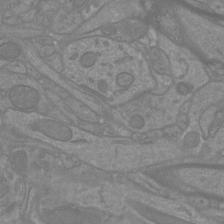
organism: Mouse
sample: Cortical neurons